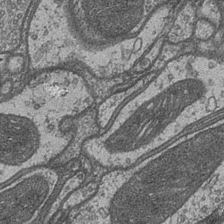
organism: Drosophila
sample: Optic medulla